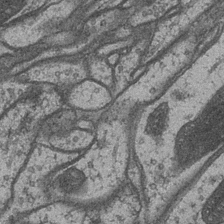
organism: Drosophila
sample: Optic medulla